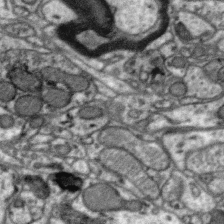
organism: Zebra finch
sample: Brain